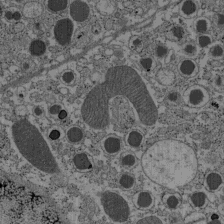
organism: C57BL Mouse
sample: Pancreatic islet